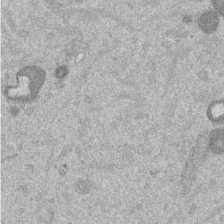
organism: Mouse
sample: Dividing mouse embryo 1 cell stage